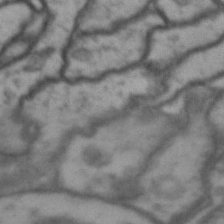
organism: Drosophila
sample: Brain